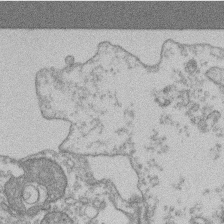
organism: Mouse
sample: T cell stromal cell synapse